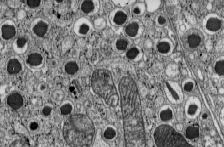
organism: C57BL Mouse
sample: Pancreatic islet